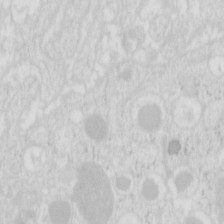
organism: Mouse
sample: Pancreas